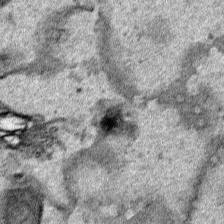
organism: Human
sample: Mitochondria in HCT116 cells